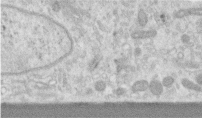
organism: Human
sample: Centriole in RPE cells